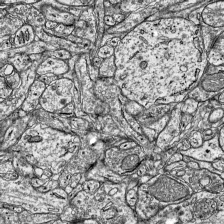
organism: Mouse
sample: Visual Cortex